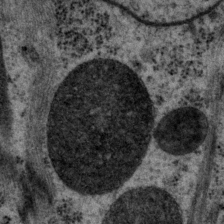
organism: P. pacificus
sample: Pharynx